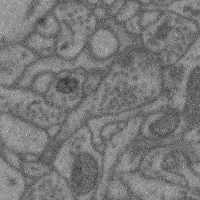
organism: Mouse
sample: Cerebral cortex